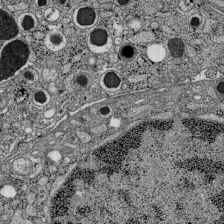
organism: C57BL Mouse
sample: Pancreatic islet